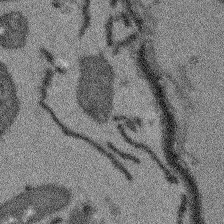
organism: Arabidopsis thaliana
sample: Root tip